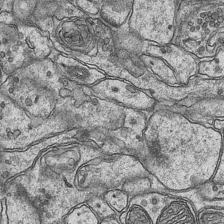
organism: Mouse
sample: CA1 Hippocampus